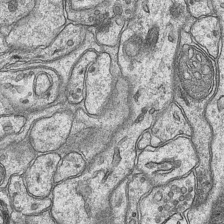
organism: Mouse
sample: CA1 Hippocampus